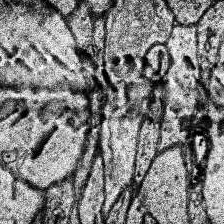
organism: Human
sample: Temporal Lobe